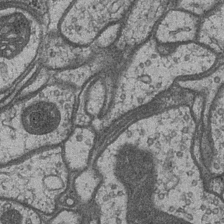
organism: Drosophila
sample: Optic medulla